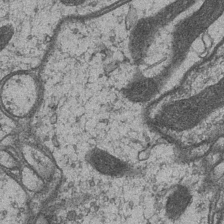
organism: Drosophila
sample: Optic medulla